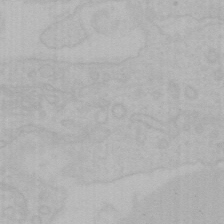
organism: Mouse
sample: Choroid plexus